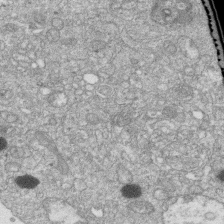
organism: Human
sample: HeLa cell HIV synapse